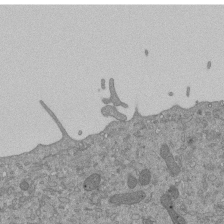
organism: Mouse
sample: ED-1 cell nuclei; centrioles